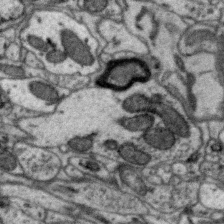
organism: Zebra finch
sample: Brain